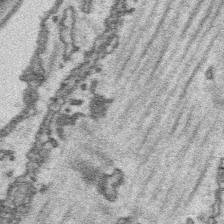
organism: Platynereis dumerilii